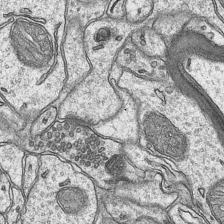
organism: Mouse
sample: CA1 Hippocampus